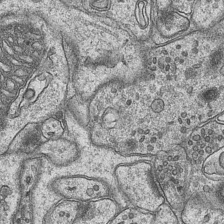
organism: Mouse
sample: CA1 Hippocampus